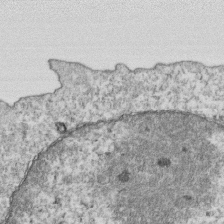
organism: Mouse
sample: Activated OT-1 CD8+ T cells